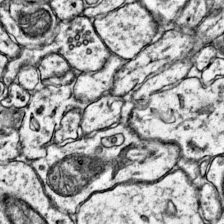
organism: Mouse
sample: Primary visual cortex